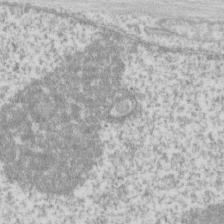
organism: Human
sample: Fibroblast cells